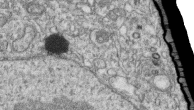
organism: Human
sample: HeLa cell HIV synapse